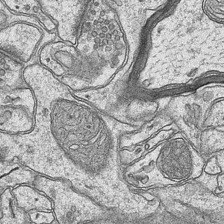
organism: Mouse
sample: CA1 Hippocampus